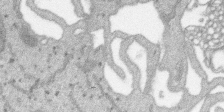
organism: Human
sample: Lung epithelial cells infected with SARS-CoV-2